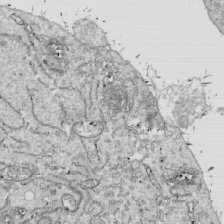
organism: Drosophila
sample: Cell division; meiosis; drosophila spermatocytes